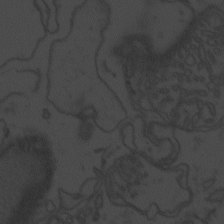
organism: Zebrafish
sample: Macrophage infected with Toxoplasma gondii